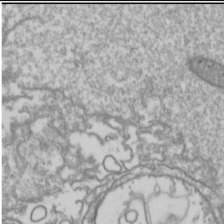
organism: Drosophila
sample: Cell division; meiosis; drosophila spermatocytes